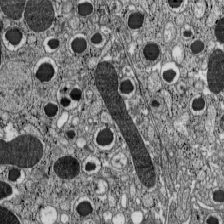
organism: C57BL Mouse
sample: Pancreatic islet